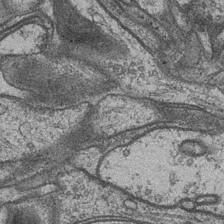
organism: Drosophila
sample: Optic medulla